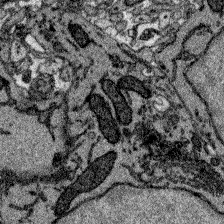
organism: Zebrafish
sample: Larval olfactory bulb